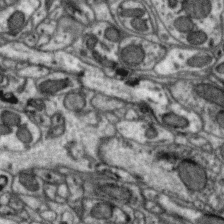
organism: Zebra finch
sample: Brain